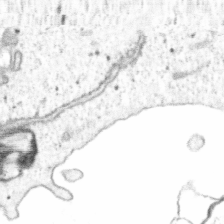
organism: Human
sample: HeLa cells